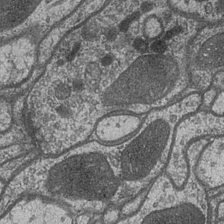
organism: Drosophila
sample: Optic medulla